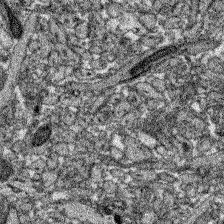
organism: Zebrafish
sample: Larval olfactory bulb